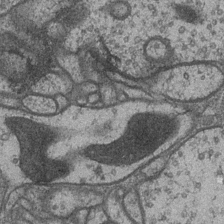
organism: Drosophila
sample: Optic medulla